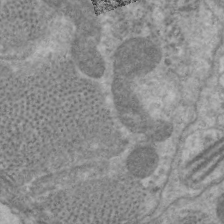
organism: C. elegans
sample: Pharynx